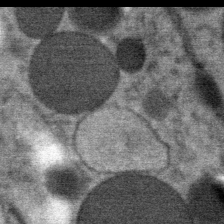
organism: Mouse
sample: Mouse Salivary gland